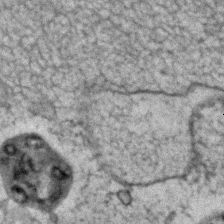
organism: Human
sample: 1205lu cells